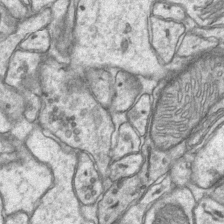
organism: Mouse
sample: CA1 Hippocampus